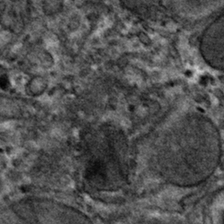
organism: Mouse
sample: Mouse hepatocytes